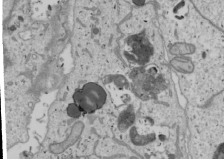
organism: Human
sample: Mitochondria in U2OS cells